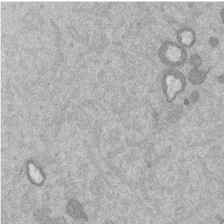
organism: Mouse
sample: Dividing mouse embryo 1 cell stage